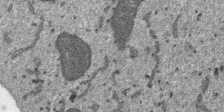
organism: Human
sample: Lung epithelial cells infected with SARS-CoV-2